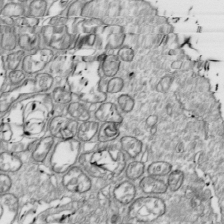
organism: Drosophila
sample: Cell division; meiosis; drosophila spermatocytes